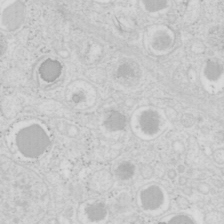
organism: Mouse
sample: Pancreas